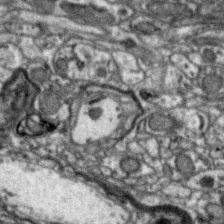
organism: Zebra finch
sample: Brain